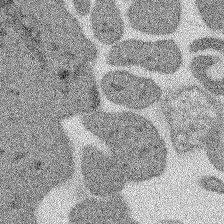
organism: Human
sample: HeLa cells